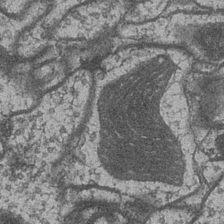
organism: Drosophila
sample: Optic medulla